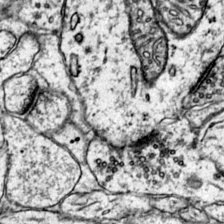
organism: Mouse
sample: Primary visual cortex